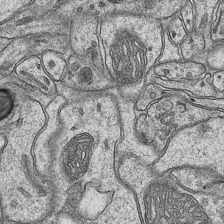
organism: Mouse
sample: CA1 Hippocampus